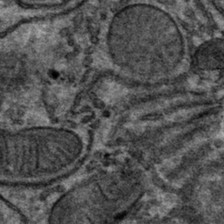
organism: Mouse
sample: Mouse hepatocytes